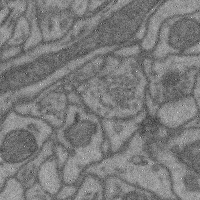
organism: Mouse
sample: Cerebral cortex